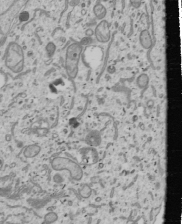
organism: Human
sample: Mitochondria in U2OS cells